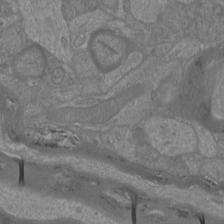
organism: Mouse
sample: Cortical neurons